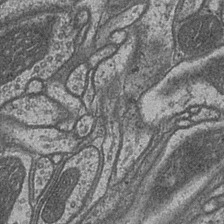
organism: Drosophila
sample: Optic medulla